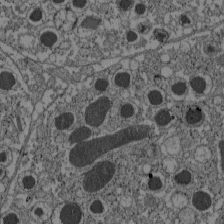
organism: C57BL Mouse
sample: Pancreatic islet